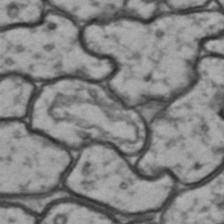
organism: Drosophila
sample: Brain